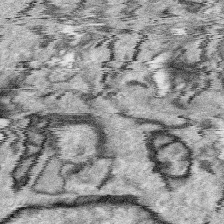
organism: Human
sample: HeLa cells